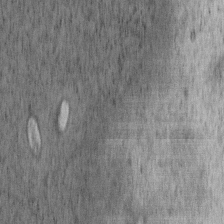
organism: Human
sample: HeLa cells